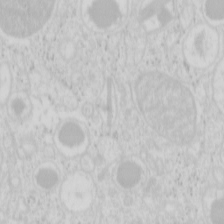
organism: Mouse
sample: Pancreas